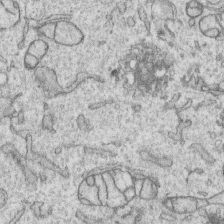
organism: Human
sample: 1205lu cells